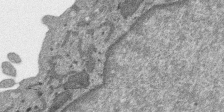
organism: Human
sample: Lung epithelial cells infected with SARS-CoV-2